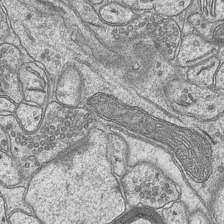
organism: Mouse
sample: CA1 Hippocampus